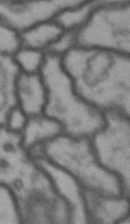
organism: Drosophila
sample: Brain